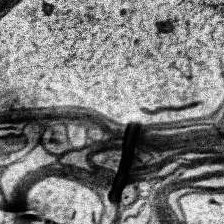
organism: Human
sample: Temporal Lobe